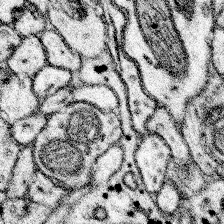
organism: Mouse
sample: Somatosensory cortex neuropil